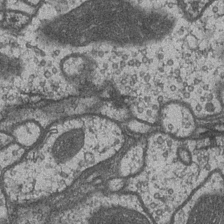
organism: Drosophila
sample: Optic medulla